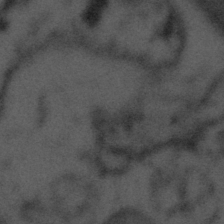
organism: Tuwongella immobilis